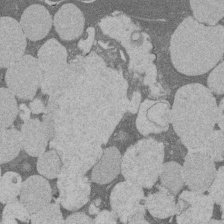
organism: Rat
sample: Salivary granule